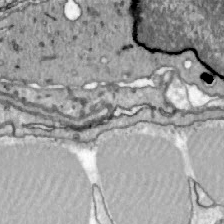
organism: Zebrafish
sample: Actinotrichia fibers